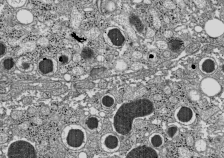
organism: C57BL Mouse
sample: Pancreatic islet